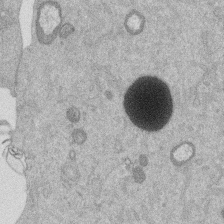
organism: Mouse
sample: Dividing mouse embryo 1 cell stage